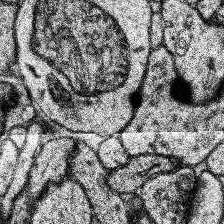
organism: Human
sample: Temporal Lobe